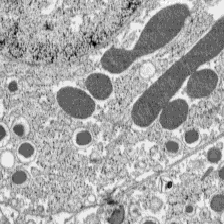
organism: C57BL Mouse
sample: Pancreatic islet